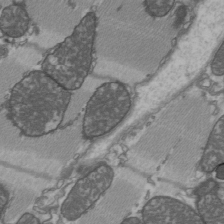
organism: C57BL Mouse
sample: Heart